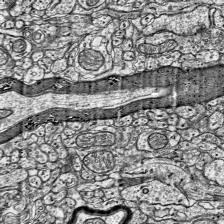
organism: Mouse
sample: Visual Cortex